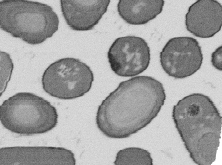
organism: B. subtilis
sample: Bacterial spore